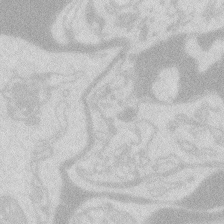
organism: Zebrafish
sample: Macrophage